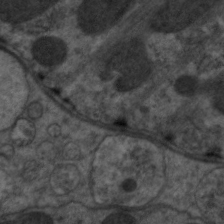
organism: C. elegans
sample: Pharynx